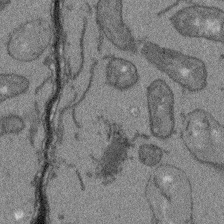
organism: Arabidopsis thaliana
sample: Root tip